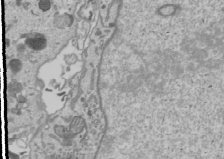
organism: Human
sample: Mitochondria in U2OS cells